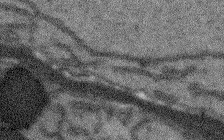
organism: Arabidopsis thaliana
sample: Root tip